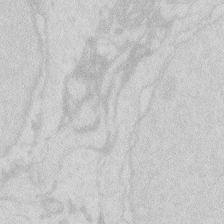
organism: Zebrafish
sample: Macrophage